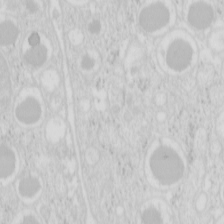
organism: Mouse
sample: Pancreas